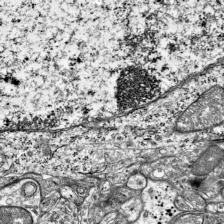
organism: Mouse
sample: Visual Cortex